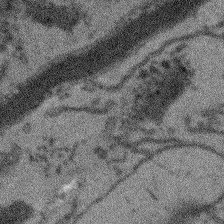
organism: Arabidopsis thaliana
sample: Root tip